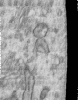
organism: Human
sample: Centriole in RPE cells